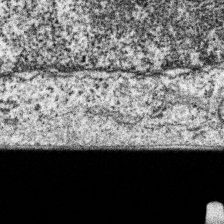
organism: Human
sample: HeLa cells